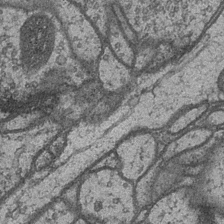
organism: Drosophila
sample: Optic medulla